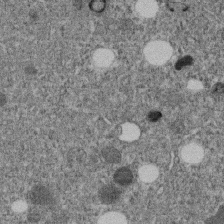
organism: C. elegans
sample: C. elegans embryo early stage